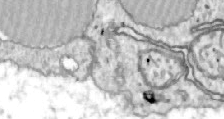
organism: Zebrafish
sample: Actinotrichia fibers